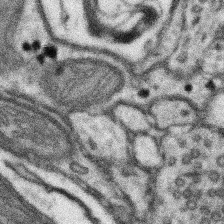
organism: Mouse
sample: Somatosensory cortex neuropil